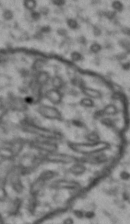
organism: Drosophila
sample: Brain